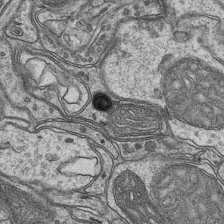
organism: Mouse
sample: CA1 Hippocampus